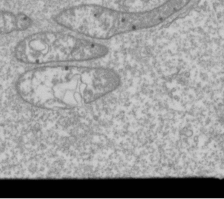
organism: Drosophila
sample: Cell division; meiosis; drosophila spermatocytes